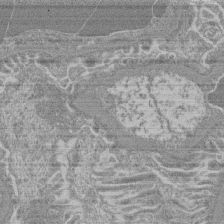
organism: Mouse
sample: Glomerulus